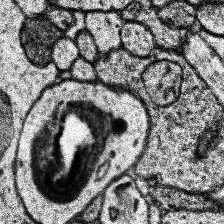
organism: Human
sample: Temporal Lobe